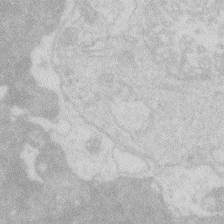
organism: Zebrafish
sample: Macrophage